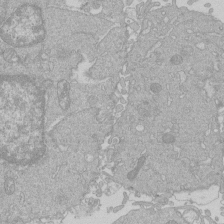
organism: Human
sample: Macrophage cells